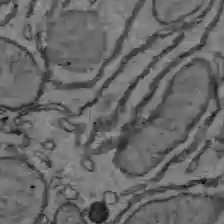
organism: C57BL Mouse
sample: Liver